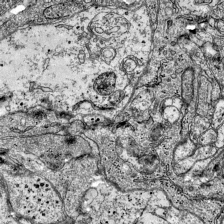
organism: Mouse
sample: Visual Cortex